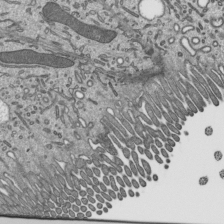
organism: Mouse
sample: Mouse epididymis efferent ductule cilia